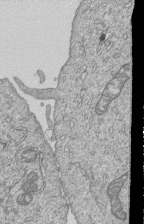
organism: Human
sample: MDA-MB-231 cells